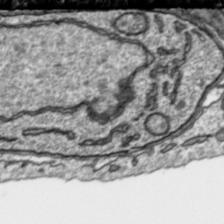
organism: Toxoplasma gondii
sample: Parasites in a vacuole inside a host cell